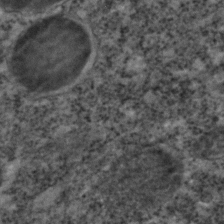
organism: C. elegans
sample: C. elegans embryo